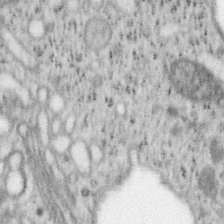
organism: Mouse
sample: OT-I killer T cells with ID8 ovarian cancer cells